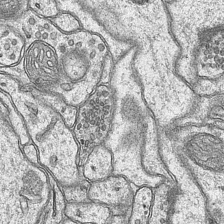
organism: Mouse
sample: CA1 Hippocampus